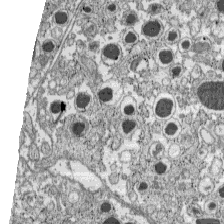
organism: C57BL Mouse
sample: Pancreatic islet